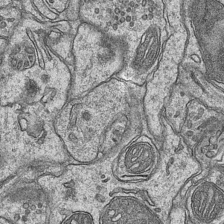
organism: Mouse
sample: CA1 Hippocampus